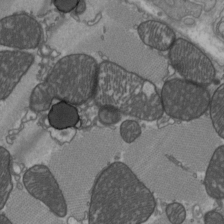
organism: C57BL Mouse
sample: Heart